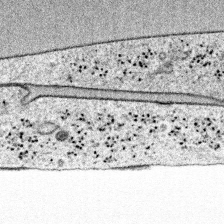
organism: Human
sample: HeLa cells